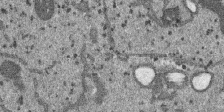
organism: Human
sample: Lung epithelial cells infected with SARS-CoV-2